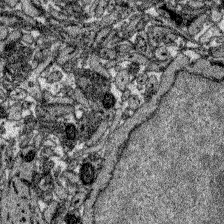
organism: Zebrafish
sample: Larval olfactory bulb